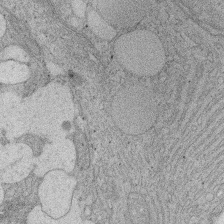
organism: Rat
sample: Salivary granule